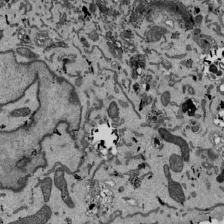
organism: Mouse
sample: ED-1 cell nuclei; centrioles